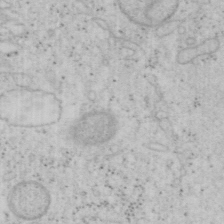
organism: Human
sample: HeLa cells